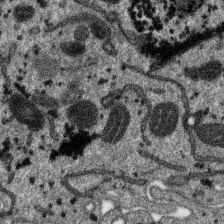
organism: Human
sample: Lung epithelial cells infected with SARS-CoV-2